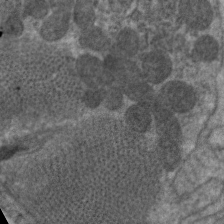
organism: C. elegans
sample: Pharynx